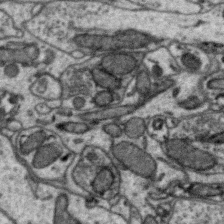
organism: Zebra finch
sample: Brain